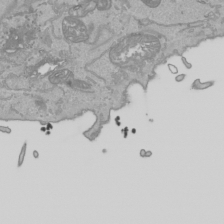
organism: Human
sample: Mitochondria in HCT116 cells